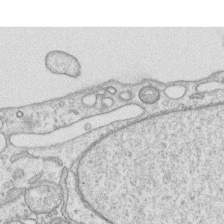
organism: Human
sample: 1205lu cells